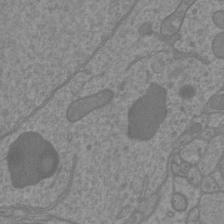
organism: Mouse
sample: Cortical neurons